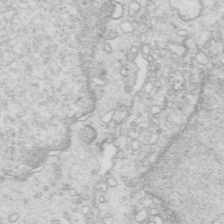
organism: Mouse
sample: Multiciliated cells